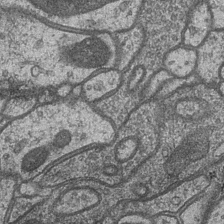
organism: Drosophila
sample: Optic medulla